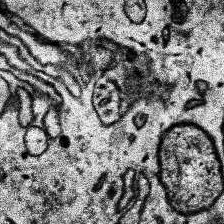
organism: Human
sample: Temporal Lobe